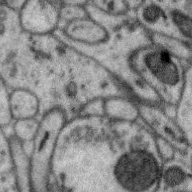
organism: Zebra finch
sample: Brain